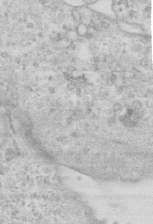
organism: Mouse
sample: Centriole in ependymal cells